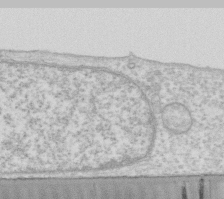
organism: Human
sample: Fibroblast cells